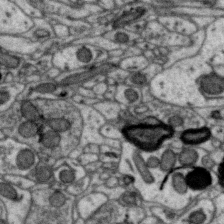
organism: Zebra finch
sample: Brain